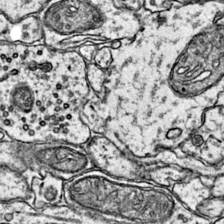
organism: Mouse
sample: Primary visual cortex